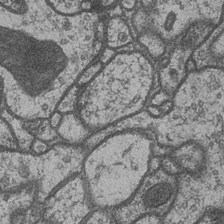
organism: Drosophila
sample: Optic medulla